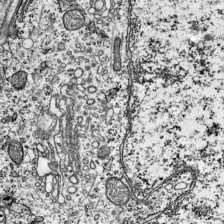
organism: Mouse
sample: Visual Cortex